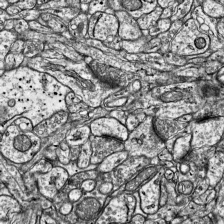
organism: Mouse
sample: Visual Cortex